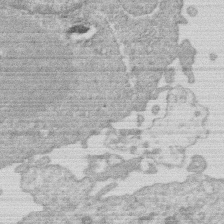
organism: Human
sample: Macrophage cells